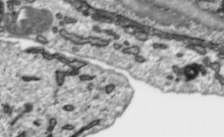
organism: Toxoplasma gondii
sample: Parasites in a vacuole inside a host cell